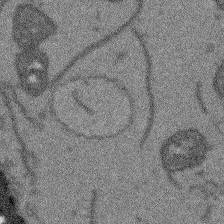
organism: Arabidopsis thaliana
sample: Root tip